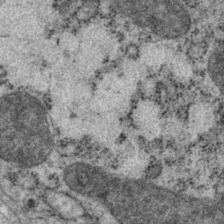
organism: P. pacificus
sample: Pharynx